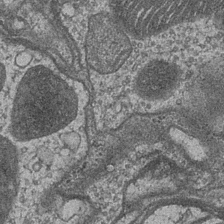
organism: Drosophila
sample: Optic medulla